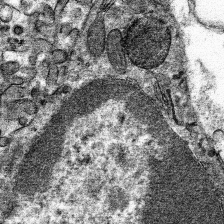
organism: Mouse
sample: Mouse hepatocytes